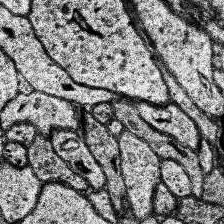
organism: Human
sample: Temporal Lobe